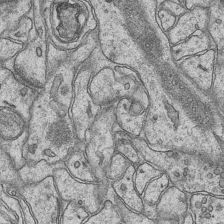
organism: Mouse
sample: CA1 Hippocampus